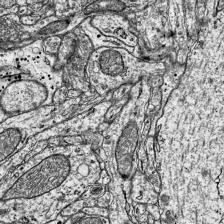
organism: Mouse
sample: Visual Cortex